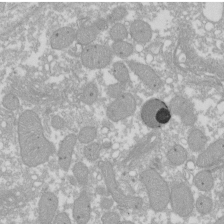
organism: Xenopus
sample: Cilia; centrioles in frog embryo cells